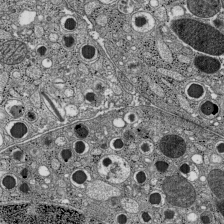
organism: C57BL Mouse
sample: Pancreatic islet